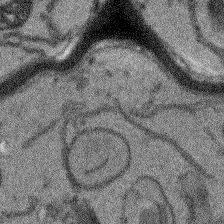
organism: Arabidopsis thaliana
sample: Root tip